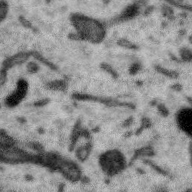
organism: Zebra finch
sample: Brain